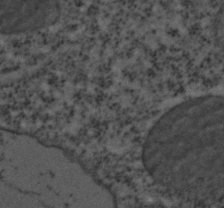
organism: C. elegans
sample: C. elegans embryo